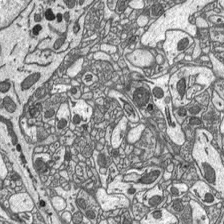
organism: C57BL Mouse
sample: Optic nerve head